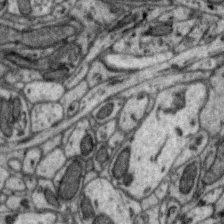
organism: Zebra finch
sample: Brain